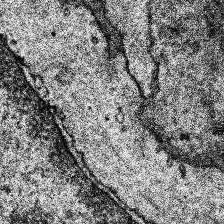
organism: Human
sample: Temporal Lobe